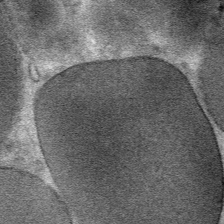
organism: Mouse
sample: Mouse Salivary gland